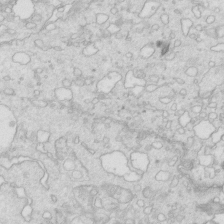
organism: Mouse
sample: Multiciliated cells